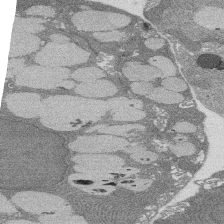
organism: Rat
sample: Salivary granule